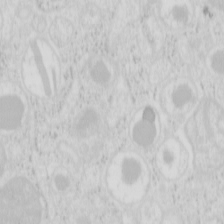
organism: Mouse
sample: Pancreas